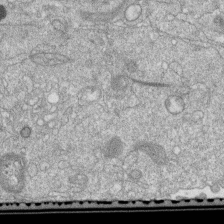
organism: Human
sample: HeLa cell HIV synapse